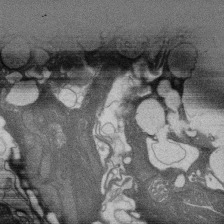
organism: Rat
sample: Salivary granule